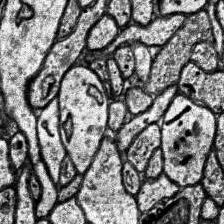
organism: Human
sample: Temporal Lobe